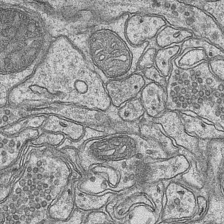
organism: Mouse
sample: CA1 Hippocampus